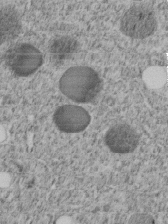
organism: C. elegans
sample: C. elegans embryo early stage